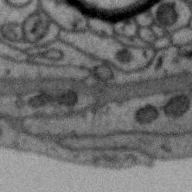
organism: Zebra finch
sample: Brain